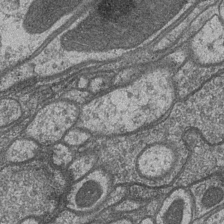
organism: Drosophila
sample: Optic medulla